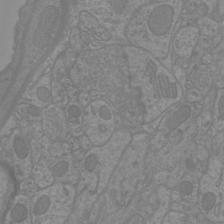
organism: Mouse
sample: Cortical neurons